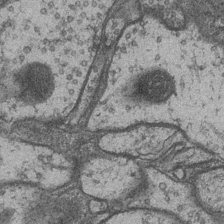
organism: Drosophila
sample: Optic medulla